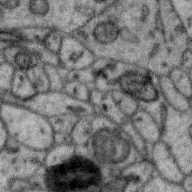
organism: Zebra finch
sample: Brain